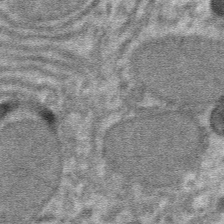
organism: Mouse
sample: Mouse hepatocytes